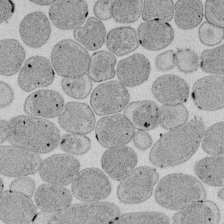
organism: E. coli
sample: Bacterial nucleoid